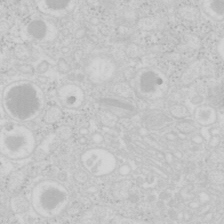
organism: Mouse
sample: Pancreas